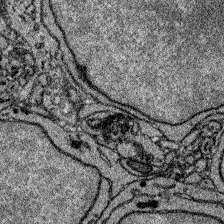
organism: Zebrafish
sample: Larval olfactory bulb